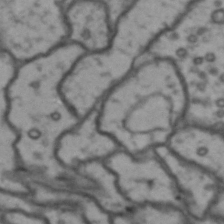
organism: Drosophila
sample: Brain